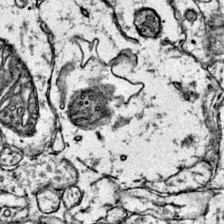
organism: Mouse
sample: Primary visual cortex